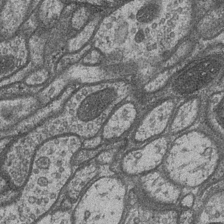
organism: Drosophila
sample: Optic medulla